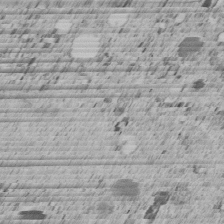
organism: C. elegans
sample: C. elegans embryo early stage